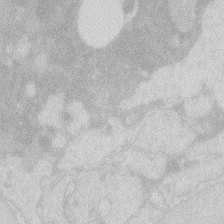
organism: Zebrafish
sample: Macrophage